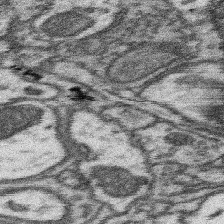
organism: Mouse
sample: Somatosensory cortex neuropil